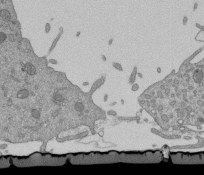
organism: Mouse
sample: ED-1 cell nuclei; centrioles